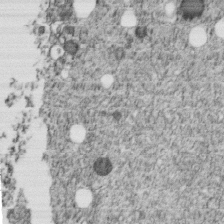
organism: C. elegans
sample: C. elegans embryo early stage